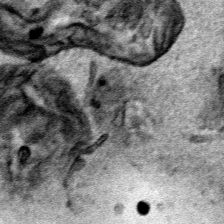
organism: Human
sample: Mitochondria in HCT116 cells